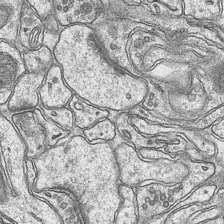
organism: Mouse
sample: CA1 Hippocampus